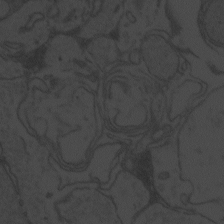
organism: Zebrafish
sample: Macrophage infected with Toxoplasma gondii